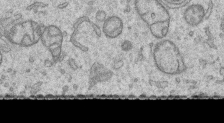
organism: Human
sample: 1205lu cells